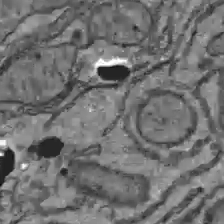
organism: C57BL Mouse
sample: Liver